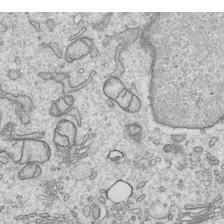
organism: Human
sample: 1205lu cells